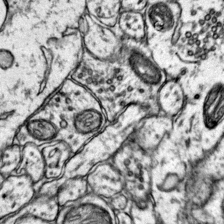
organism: Mouse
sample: Primary visual cortex